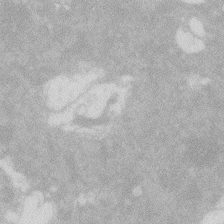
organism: Zebrafish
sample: Macrophage